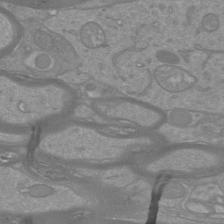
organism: Mouse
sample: Cortical neurons